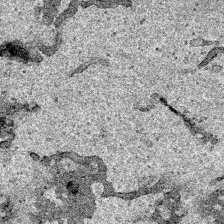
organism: Human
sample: Mitochondria in HCT116 cells